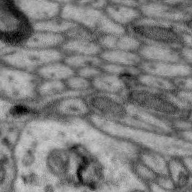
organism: Zebra finch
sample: Brain